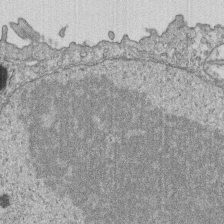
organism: Human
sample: HeLa cell HIV synapse